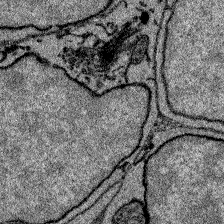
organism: Zebrafish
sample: Larval olfactory bulb